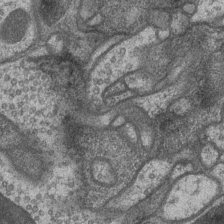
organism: Drosophila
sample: Optic medulla